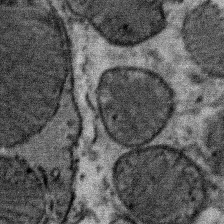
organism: Mouse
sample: Mouse Salivary gland